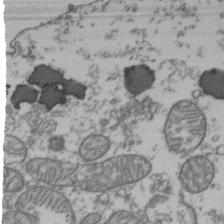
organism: Human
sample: Activated Jurkat CD4+ T cells